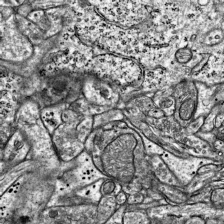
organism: Mouse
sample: Visual Cortex